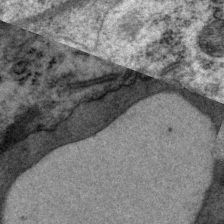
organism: P. pacificus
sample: Pharynx